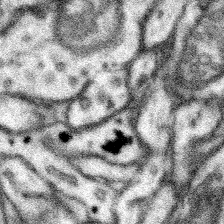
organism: Mouse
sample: Somatosensory cortex neuropil